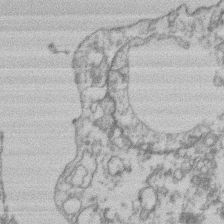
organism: Mouse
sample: T cell stromal cell synapse